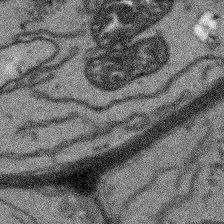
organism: Arabidopsis thaliana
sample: Root tip